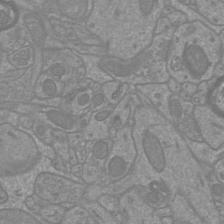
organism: Mouse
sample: Cortical neurons